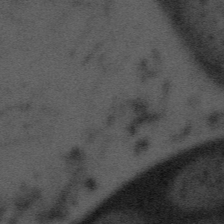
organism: Tuwongella immobilis